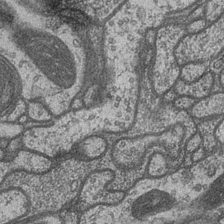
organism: Drosophila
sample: Optic medulla